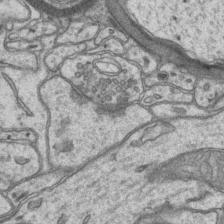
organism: Mouse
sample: CA1 Hippocampus